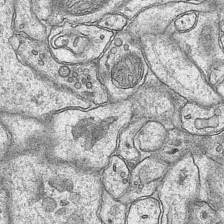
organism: Mouse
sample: CA1 Hippocampus